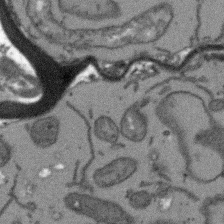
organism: Arabidopsis thaliana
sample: Root tip